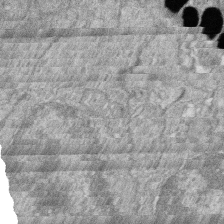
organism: Zebrafish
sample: Cilia; retinal pigment epithelium